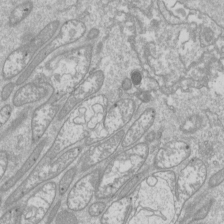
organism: Drosophila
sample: Cell division; meiosis; drosophila spermatocytes